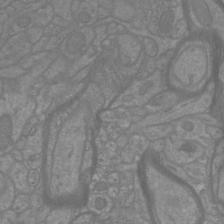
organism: Mouse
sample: Cortical neurons